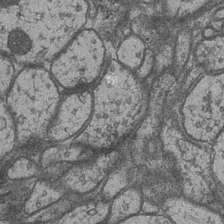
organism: Drosophila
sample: Optic medulla